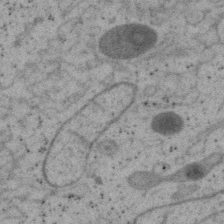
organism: Human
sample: HeLa cells